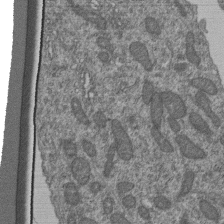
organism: Human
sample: Retinal organoid Rod and Cone cells